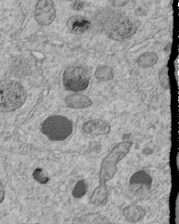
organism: C. elegans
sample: C. elegans embryo early stage